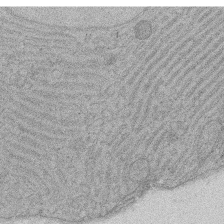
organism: Rat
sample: Salivary granule